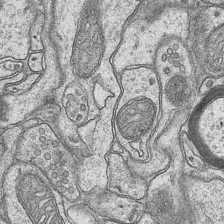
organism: Mouse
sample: CA1 Hippocampus